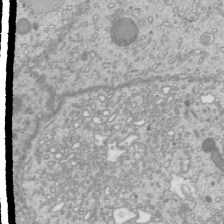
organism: Mouse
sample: Cilia; mouse epididymis